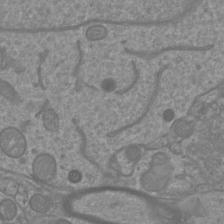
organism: Mouse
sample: Cortical neurons